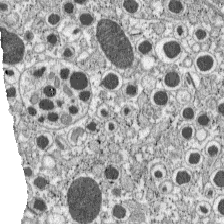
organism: C57BL Mouse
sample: Pancreatic islet